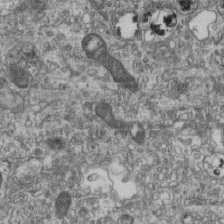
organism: Mouse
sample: Centriole in ependymal cells